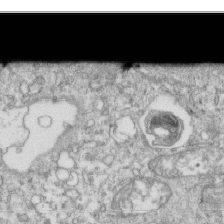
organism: Mouse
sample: Activated OT-1 CD8+ T cells